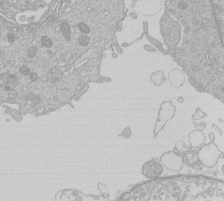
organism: Human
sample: Macrophage cells